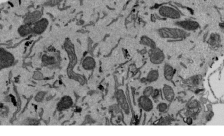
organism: Mouse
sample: ED-1 cell nuclei; centrioles